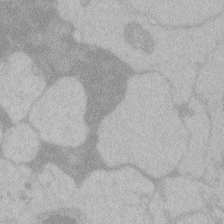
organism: Zebrafish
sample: Macrophage infected with Toxoplasma gondii